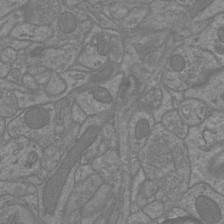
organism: Mouse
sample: Cortical neurons